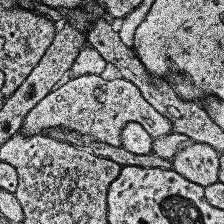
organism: Human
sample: Temporal Lobe